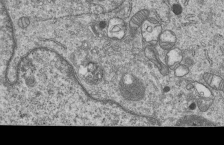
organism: Human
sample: MDA-MB-231 cells